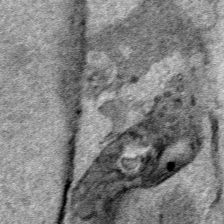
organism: Human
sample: Mitochondria in HCT116 cells